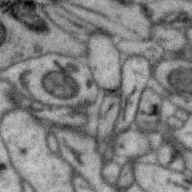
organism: Zebra finch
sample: Brain